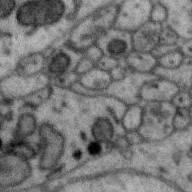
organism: Zebra finch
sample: Brain